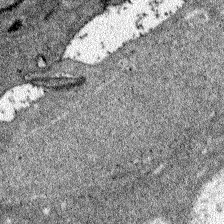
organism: Zebrafish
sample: Larval olfactory bulb